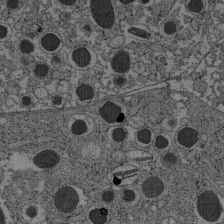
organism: C57BL Mouse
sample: Pancreatic islet